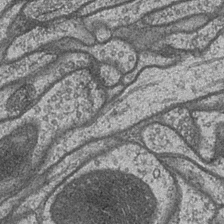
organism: Drosophila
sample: Optic medulla